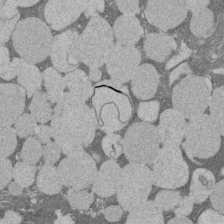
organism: Rat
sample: Salivary granule